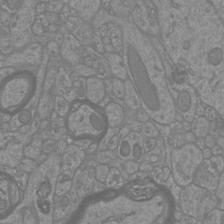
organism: Mouse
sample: Cortical neurons